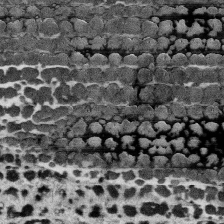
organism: Human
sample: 1205lu cells